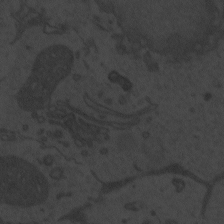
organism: Zebrafish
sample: Macrophage infected with Toxoplasma gondii